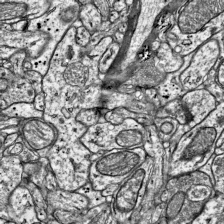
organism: Mouse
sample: Visual Cortex